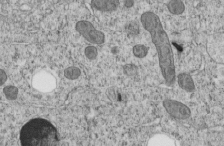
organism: C. elegans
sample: C. elegans embryo early stage